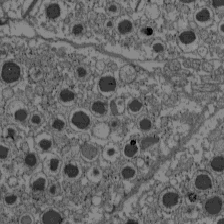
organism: C57BL Mouse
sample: Pancreatic islet